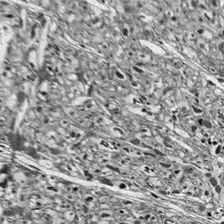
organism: Drosophila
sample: Optic lobe